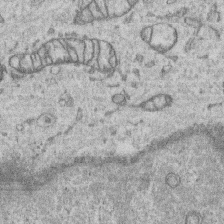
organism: Human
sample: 1205lu cells